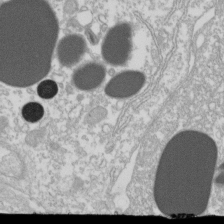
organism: Xenopus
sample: Cilia; centrioles in frog embryo cells